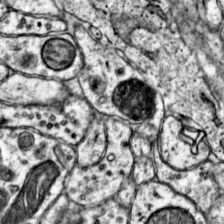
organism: Mouse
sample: Primary visual cortex